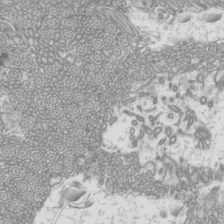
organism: Mouse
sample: Cilia; mouse epididymis